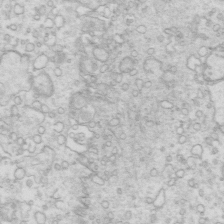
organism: Mouse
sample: Multiciliated cells